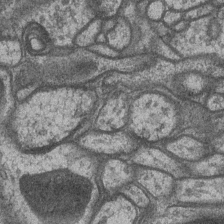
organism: Drosophila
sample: Optic medulla